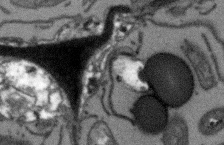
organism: Arabidopsis thaliana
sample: Root tip